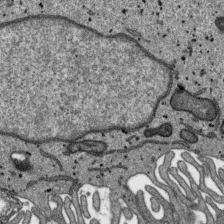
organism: Human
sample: Lung epithelial cells, uninfected (mock) control